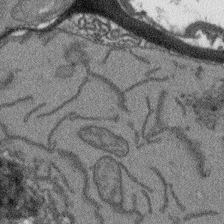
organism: Arabidopsis thaliana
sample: Root tip